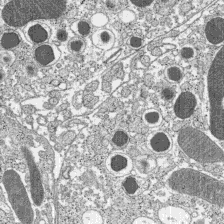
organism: C57BL Mouse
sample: Pancreatic islet